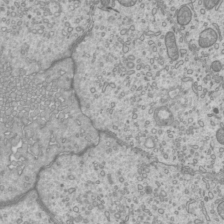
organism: Mouse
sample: Cilia; mouse epididymis